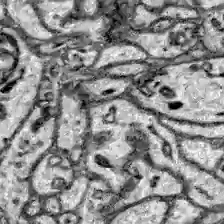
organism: Zebrafish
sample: Brain